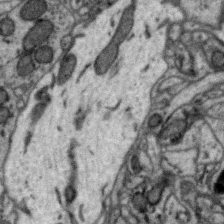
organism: Zebra finch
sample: Brain